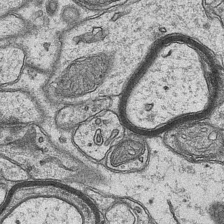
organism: Mouse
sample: CA1 Hippocampus